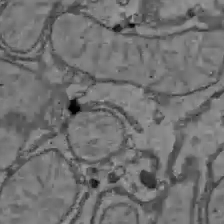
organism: C57BL Mouse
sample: Liver